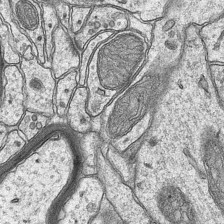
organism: Mouse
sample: CA1 Hippocampus